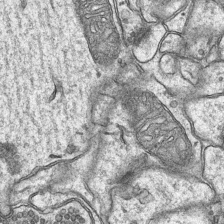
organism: Mouse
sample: CA1 Hippocampus